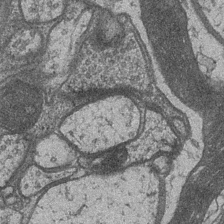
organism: Drosophila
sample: Optic medulla